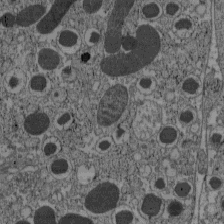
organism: C57BL Mouse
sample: Pancreatic islet